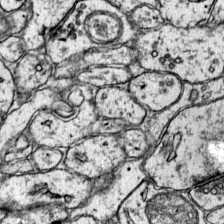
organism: Mouse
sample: Primary visual cortex